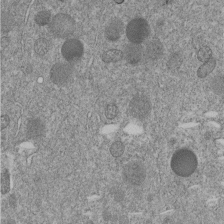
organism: C. elegans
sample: C. elegans embryo early stage